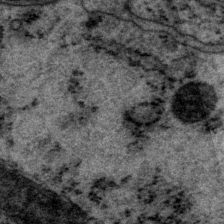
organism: P. pacificus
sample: Pharynx